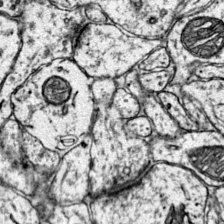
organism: Mouse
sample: Primary visual cortex